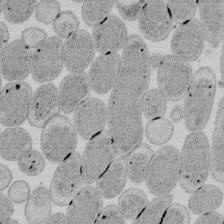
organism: E. coli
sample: Bacterial nucleoid